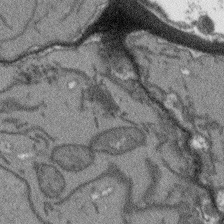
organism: Arabidopsis thaliana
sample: Root tip